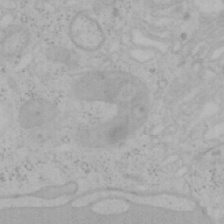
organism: Mouse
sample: OT-I killer T cells with ID8 ovarian cancer cells